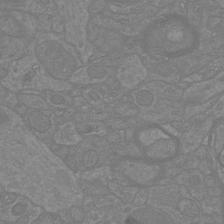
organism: Mouse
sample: Cortical neurons